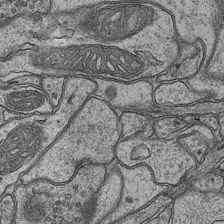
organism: Mouse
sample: CA1 Hippocampus